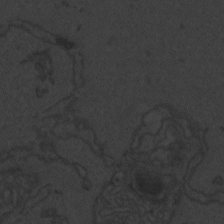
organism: Zebrafish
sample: Macrophage infected with Toxoplasma gondii